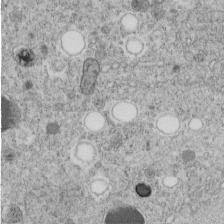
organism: C. elegans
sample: C. elegans embryo early stage